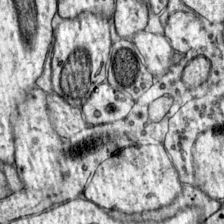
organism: Mouse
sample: Primary visual cortex